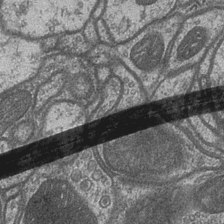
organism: Drosophila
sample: Optic medulla